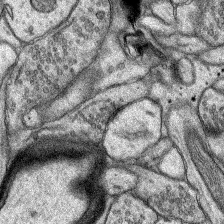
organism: Rat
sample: Hippocampus